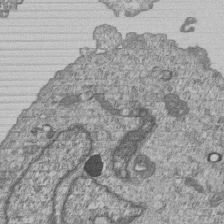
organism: Human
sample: MDA-MB-231 cells